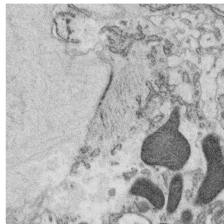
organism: C. elegans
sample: C. elegans oocyte; sperm cells